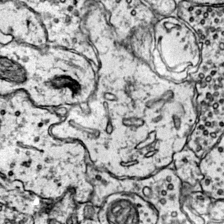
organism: Mouse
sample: Primary visual cortex